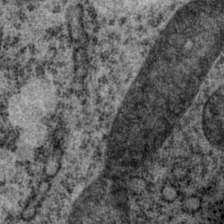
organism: P. pacificus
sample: Pharynx